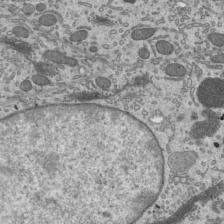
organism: Mouse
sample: Mouse epididymis efferent ductule cilia